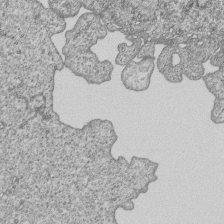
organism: Human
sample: MDA-MB-231 cells